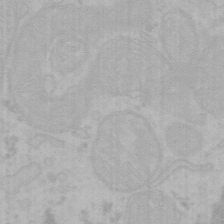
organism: Mouse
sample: Choroid plexus